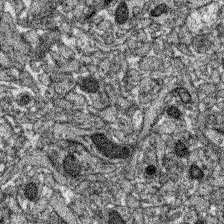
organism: Zebrafish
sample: Larval olfactory bulb